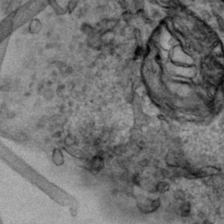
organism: Human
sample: Mitochondria in HCT116 cells